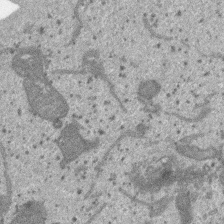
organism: Human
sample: Lung epithelial cells infected with SARS-CoV-2